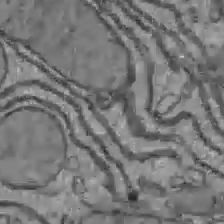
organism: C57BL Mouse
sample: Liver